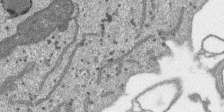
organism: Human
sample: Lung epithelial cells infected with SARS-CoV-2